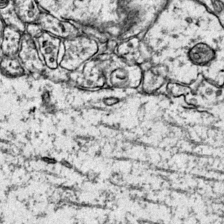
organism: Mouse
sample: Primary visual cortex